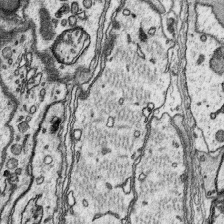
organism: Platynereis dumerilii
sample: Parapodia